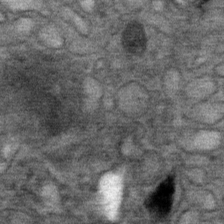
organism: Mouse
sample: Mouse Salivary gland